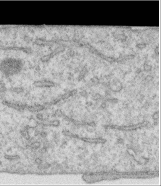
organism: Human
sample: Centriole in RPE cells